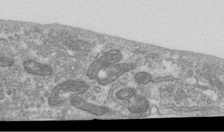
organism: Human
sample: Centriole in RPE cells